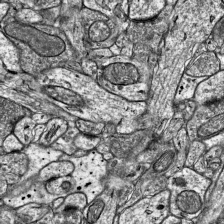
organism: Mouse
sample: Visual Cortex